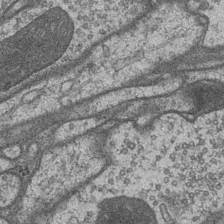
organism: Drosophila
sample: Optic medulla